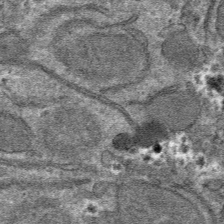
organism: Mouse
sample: Mouse hepatocytes